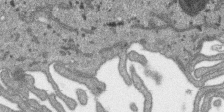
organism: Human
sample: Lung epithelial cells infected with SARS-CoV-2